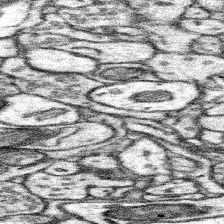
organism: Mouse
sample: Somatosensory cortex neuropil